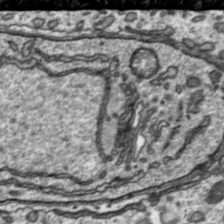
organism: Toxoplasma gondii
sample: Parasites in a vacuole inside a host cell